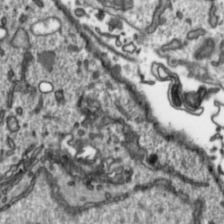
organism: Toxoplasma gondii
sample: Parasites in a vacuole inside a host cell